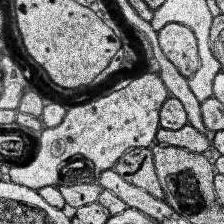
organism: Human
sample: Temporal Lobe